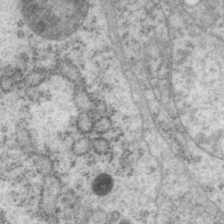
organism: P. pacificus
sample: Pharynx